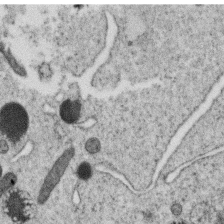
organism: C. elegans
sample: C. elegans oocyte; sperm cells